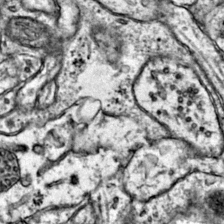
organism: Mouse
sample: Primary visual cortex